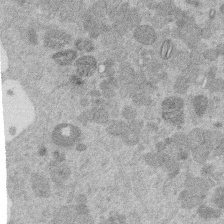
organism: Mouse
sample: Dividing mouse embryo 1 cell stage